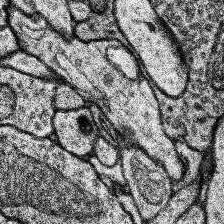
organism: Human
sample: Temporal Lobe